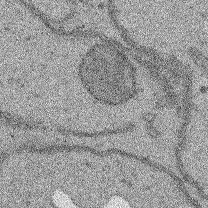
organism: Human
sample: HeLa cells